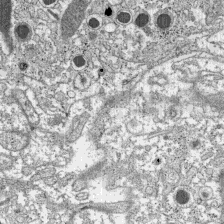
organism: C57BL Mouse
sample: Pancreatic islet